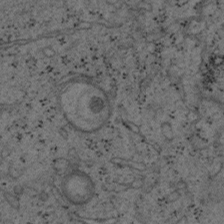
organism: Human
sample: HeLa cells